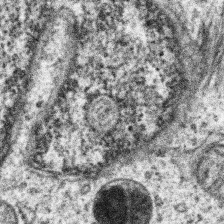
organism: Human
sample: HeLa cells